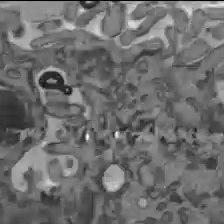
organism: C57BL Mouse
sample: Liver